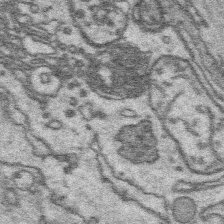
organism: Platynereis dumerilii